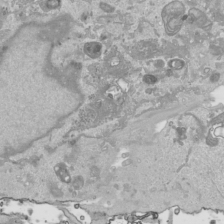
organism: Human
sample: Mitochondria in HCT116 cells